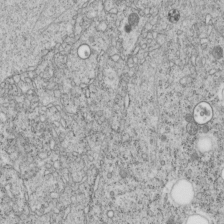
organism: C. elegans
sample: C. elegans embryo early stage